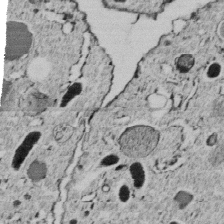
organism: C. elegans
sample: C. elegans embryo early stage